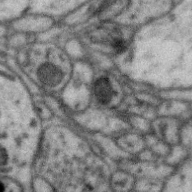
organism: Zebra finch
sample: Brain